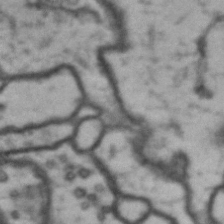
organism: Drosophila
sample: Brain